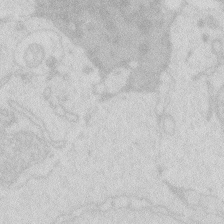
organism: Zebrafish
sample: Macrophage